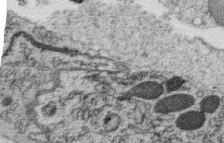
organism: C. elegans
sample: C. elegans oocyte; sperm cells